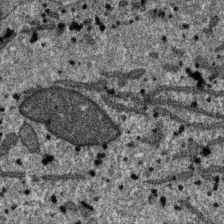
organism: Human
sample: Lung epithelial cells infected with SARS-CoV-2